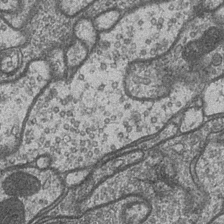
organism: Drosophila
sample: Optic medulla